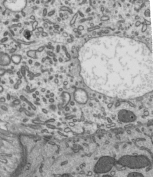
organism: Mouse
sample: Mouse epididymis efferent ductule cilia